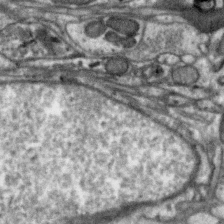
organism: Zebra finch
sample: Brain